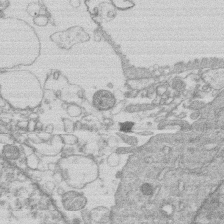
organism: Human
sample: Macrophage cells